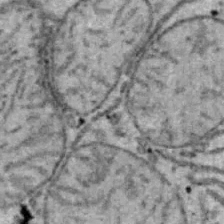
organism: Mouse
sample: Liver from an obese (ob/ob) mouse